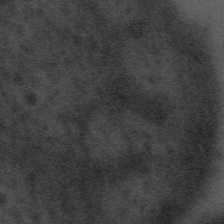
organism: Tuwongella immobilis